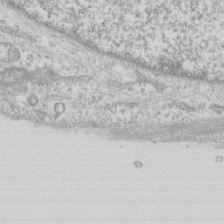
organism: Human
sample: CRL-1474